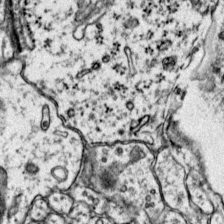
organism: Mouse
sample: Primary visual cortex